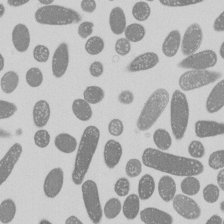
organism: E. coli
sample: Bacterial nucleoid